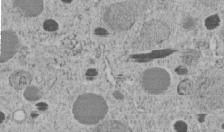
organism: C. elegans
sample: C. elegans embryo early stage